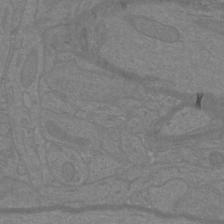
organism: Mouse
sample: Cortical neurons